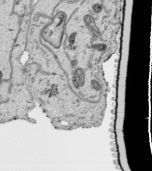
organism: Human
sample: Mitochondria in HCT116 cells